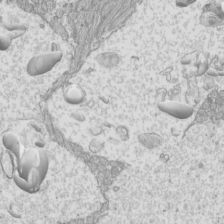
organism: Mouse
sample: Cilia; mouse epididymis